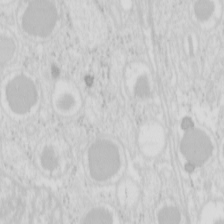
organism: Mouse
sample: Pancreas